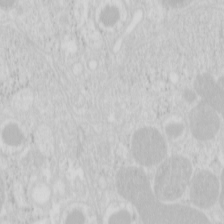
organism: Mouse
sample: Pancreas